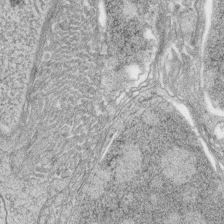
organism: Zebrafish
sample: synaptic ribbons in rod cells and cone cells